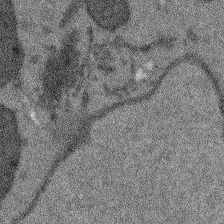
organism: Arabidopsis thaliana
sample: Root tip